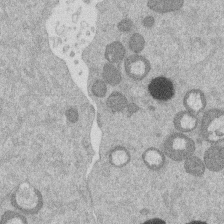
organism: Mouse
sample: Dividing mouse embryo 1 cell stage